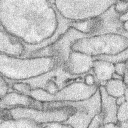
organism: Rabbit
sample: Retina